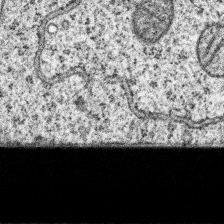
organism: Human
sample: HeLa cells